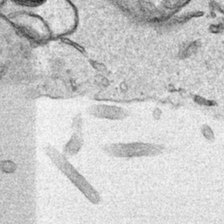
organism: Human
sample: Mitochondria in HCT116 cells